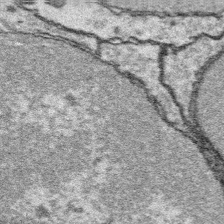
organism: Platynereis dumerilii